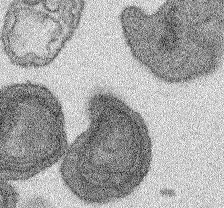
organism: Human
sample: HeLa cells